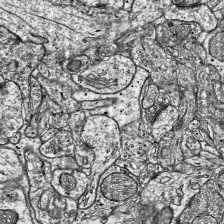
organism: Mouse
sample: Visual Cortex